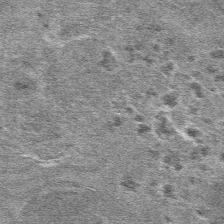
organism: Mouse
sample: Mouse hepatocytes